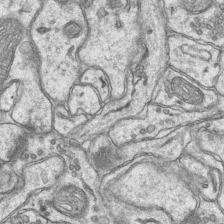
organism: Mouse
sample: CA1 Hippocampus